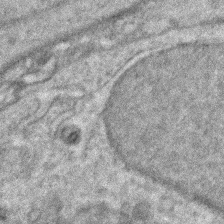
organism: Zebrafish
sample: Zebrafish embryo